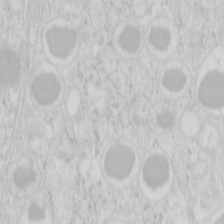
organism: Mouse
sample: Pancreas